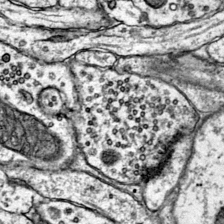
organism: Mouse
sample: Primary visual cortex